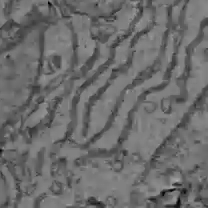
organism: C57BL Mouse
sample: Liver